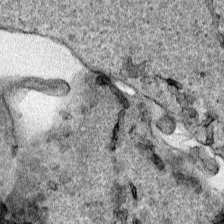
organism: Human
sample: Mitochondria in HCT116 cells